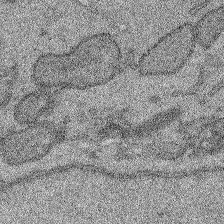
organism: Human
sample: HeLa cells